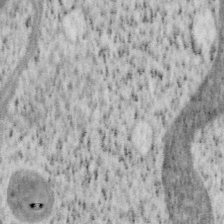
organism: Mouse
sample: OT-I killer T cells with ID8 ovarian cancer cells